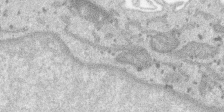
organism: Human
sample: Lung epithelial cells infected with SARS-CoV-2